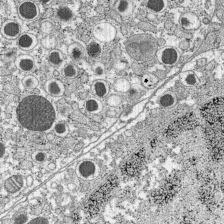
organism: C57BL Mouse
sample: Pancreatic islet